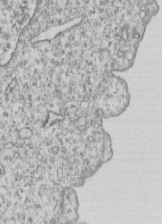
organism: Human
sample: MDA-MB-231 cells